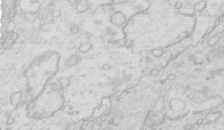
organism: Mouse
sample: Multiciliated cells